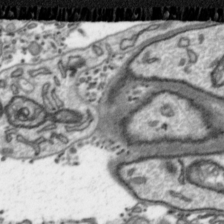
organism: Toxoplasma gondii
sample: Parasites in a vacuole inside a host cell